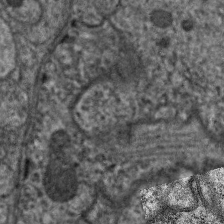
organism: C. elegans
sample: Pharynx